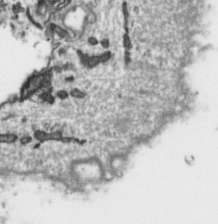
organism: Toxoplasma gondii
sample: Parasites in a vacuole inside a host cell